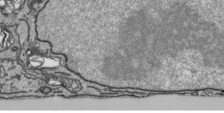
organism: Human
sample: Mitochondria in HCT116 cells